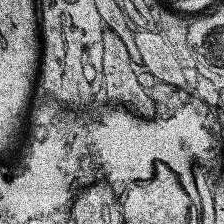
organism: Human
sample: Temporal Lobe